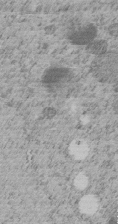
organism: C. elegans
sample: C. elegans embryo early stage